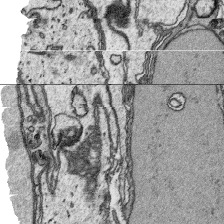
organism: Platynereis dumerilii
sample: Parapodia